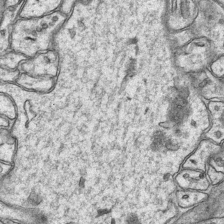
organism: Mouse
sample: CA1 Hippocampus